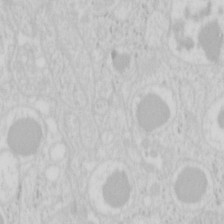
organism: Mouse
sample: Pancreas